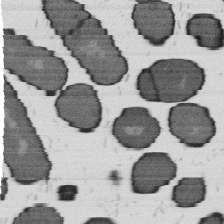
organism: B. subtilis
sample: Bacterial spore